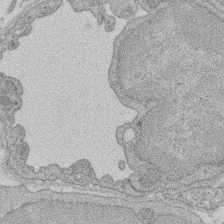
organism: Rat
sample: Salivary granule